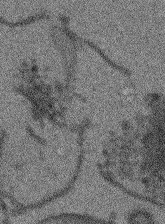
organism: Arabidopsis thaliana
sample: Root tip